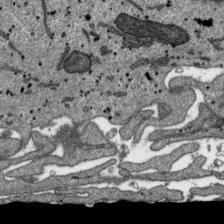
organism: Human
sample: Lung epithelial cells, uninfected (mock) control